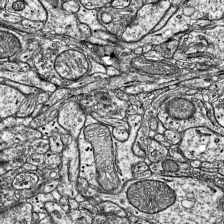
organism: Mouse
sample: Visual Cortex